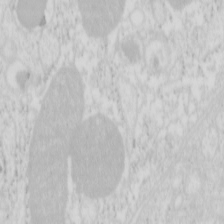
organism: Mouse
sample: Pancreas